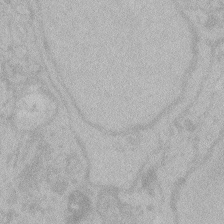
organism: Zebrafish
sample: Macrophage infected with Toxoplasma gondii